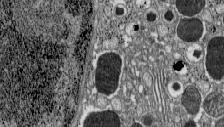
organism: C57BL Mouse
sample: Pancreatic islet